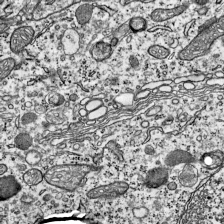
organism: Mouse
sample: Visual Cortex